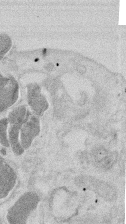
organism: Mouse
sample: T cell stromal cell synapse